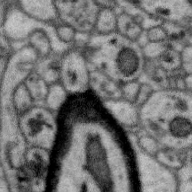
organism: Zebra finch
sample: Brain